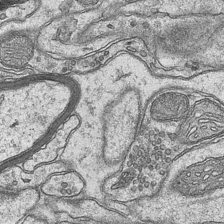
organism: Mouse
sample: CA1 Hippocampus